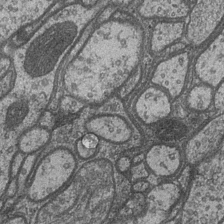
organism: Drosophila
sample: Optic medulla